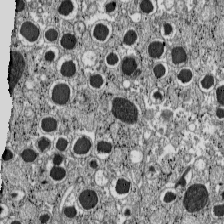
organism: C57BL Mouse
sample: Pancreatic islet